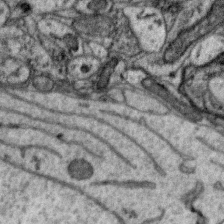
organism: Zebra finch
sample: Brain